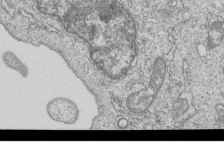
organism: Human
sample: MDA-MB-231 cells